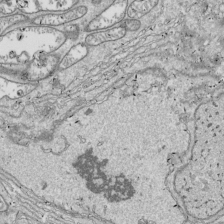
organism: Drosophila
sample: Cell division; meiosis; drosophila spermatocytes